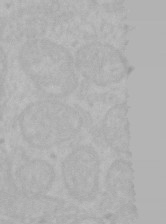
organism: Mouse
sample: Choroid plexus